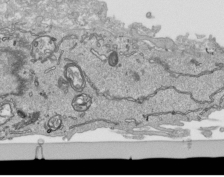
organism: Human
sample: Mitochondria in HCT116 cells